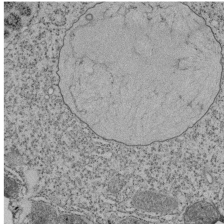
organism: Tetrahymena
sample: Cilia in tetrahymena